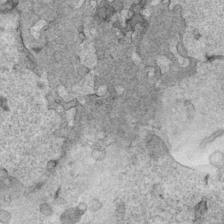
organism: Human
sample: Mitochondria in HCT116 cells